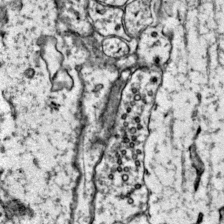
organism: Mouse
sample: Primary visual cortex